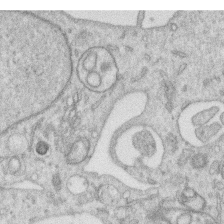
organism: Human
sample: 1205lu cells